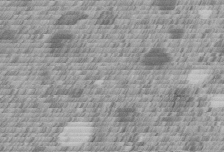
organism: C. elegans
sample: C. elegans embryo early stage